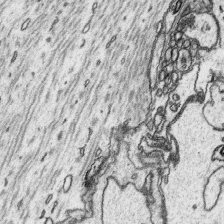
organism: Platynereis dumerilii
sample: Parapodia